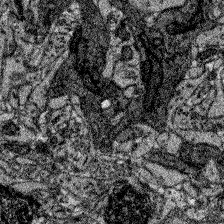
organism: Zebrafish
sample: Larval olfactory bulb